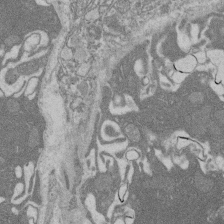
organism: Rat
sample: Salivary granule